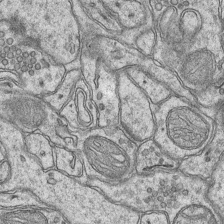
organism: Mouse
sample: CA1 Hippocampus